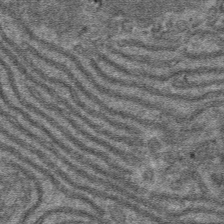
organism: Mouse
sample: Mouse hepatocytes